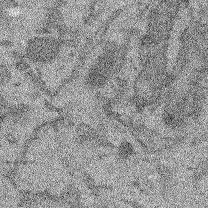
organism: Human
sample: HeLa cells